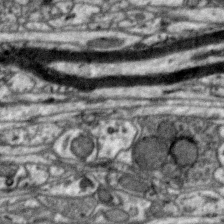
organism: Zebra finch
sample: Brain